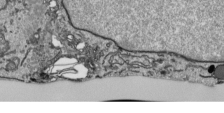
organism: Human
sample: Mitochondria in HCT116 cells